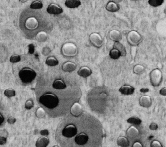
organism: C. elegans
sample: C. elegans embryo early stage